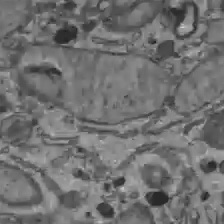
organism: C57BL Mouse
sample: Liver